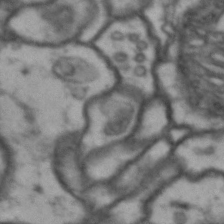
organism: Drosophila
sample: Brain